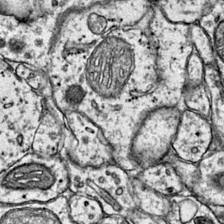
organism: Mouse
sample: Primary visual cortex